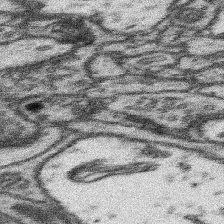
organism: Mouse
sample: Somatosensory cortex neuropil